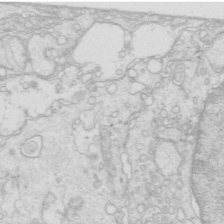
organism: Mouse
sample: Multiciliated cells